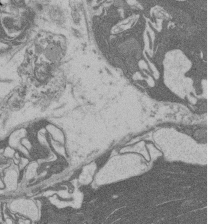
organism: Rat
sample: Salivary granule